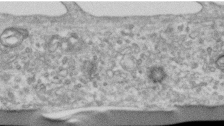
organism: Human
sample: Centriole in RPE cells